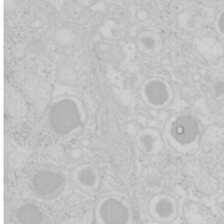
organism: Mouse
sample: Pancreas